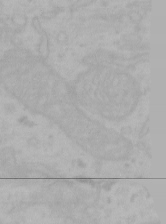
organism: Mouse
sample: Choroid plexus